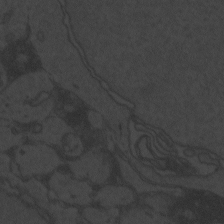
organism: Zebrafish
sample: Macrophage infected with Toxoplasma gondii